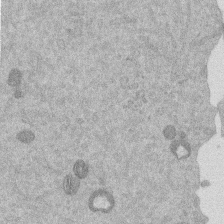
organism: Mouse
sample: Dividing mouse embryo 1 cell stage